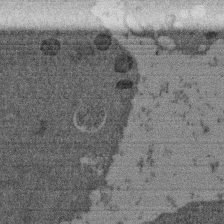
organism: Mouse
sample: Dividing mouse embryo 1 cell stage